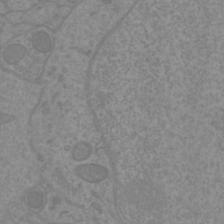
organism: Mouse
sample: Cortical neurons